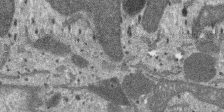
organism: Human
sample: Lung epithelial cells infected with SARS-CoV-2